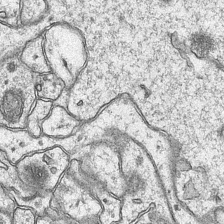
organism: Mouse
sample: CA1 Hippocampus